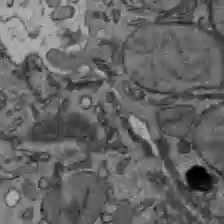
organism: C57BL Mouse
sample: Liver